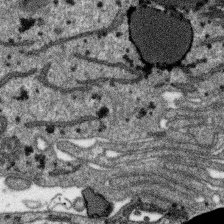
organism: Human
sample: Lung epithelial cells infected with SARS-CoV-2